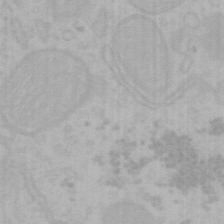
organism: Mouse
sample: Choroid plexus